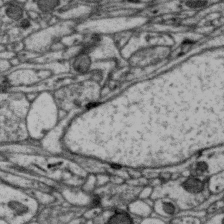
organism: Zebra finch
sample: Brain